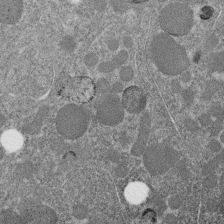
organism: C. elegans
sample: C. elegans embryo early stage